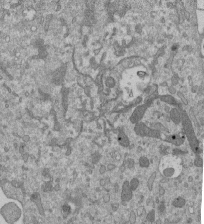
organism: Mouse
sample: ED-1 cell nuclei; centrioles